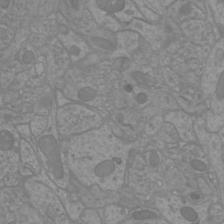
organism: Mouse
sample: Cortical neurons